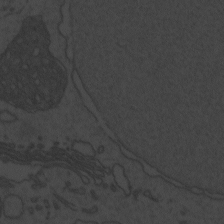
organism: Zebrafish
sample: Macrophage infected with Toxoplasma gondii